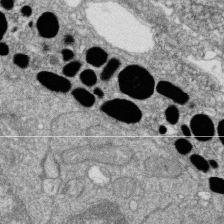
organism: Zebrafish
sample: Cilia; retinal pigment epithelium